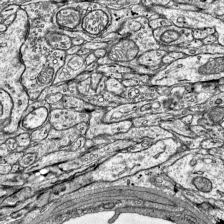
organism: Mouse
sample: Visual Cortex